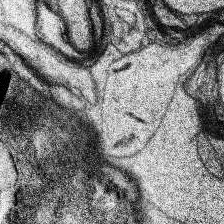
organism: Human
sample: Temporal Lobe